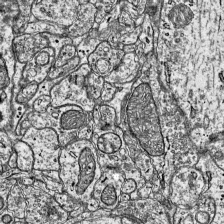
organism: Mouse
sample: Visual Cortex